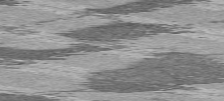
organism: C57BL Mouse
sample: Heart